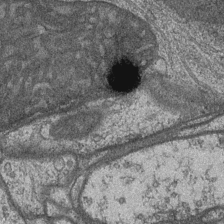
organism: Drosophila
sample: Optic medulla